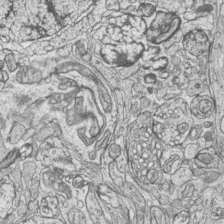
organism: Zebrafish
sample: synaptic ribbons in rod cells and cone cells